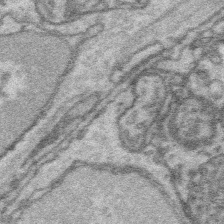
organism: Platynereis dumerilii